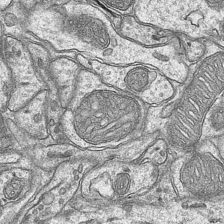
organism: Mouse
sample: CA1 Hippocampus